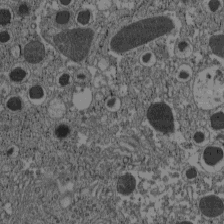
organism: C57BL Mouse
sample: Pancreatic islet